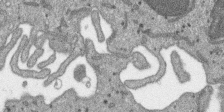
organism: Human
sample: Lung epithelial cells infected with SARS-CoV-2